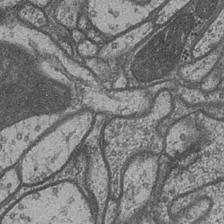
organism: Drosophila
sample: Optic medulla